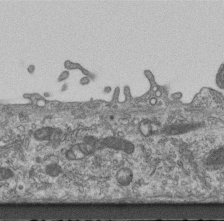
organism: Mouse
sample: Centriole in ependymal cells